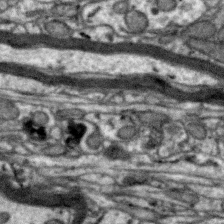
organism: Zebra finch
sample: Brain